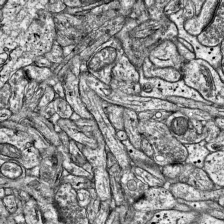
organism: Mouse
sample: Visual Cortex